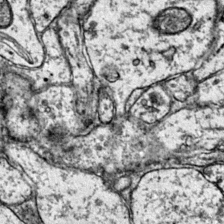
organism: Mouse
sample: Primary visual cortex